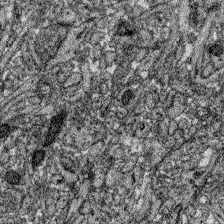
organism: Zebrafish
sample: Larval olfactory bulb